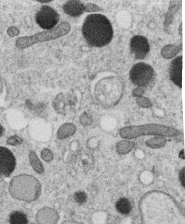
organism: C. elegans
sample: C. elegans oocyte; sperm cells